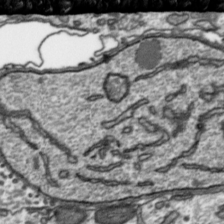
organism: Toxoplasma gondii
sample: Parasites in a vacuole inside a host cell